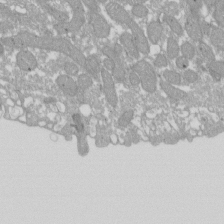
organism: Xenopus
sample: Cilia; centrioles in frog embryo cells